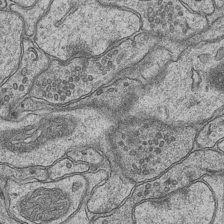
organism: Mouse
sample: CA1 Hippocampus